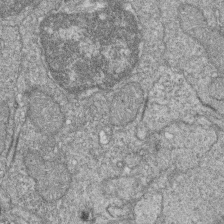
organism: Zebrafish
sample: Cilia; retinal pigment epithelium